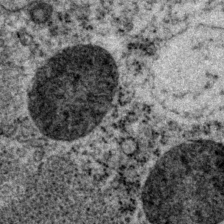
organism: P. pacificus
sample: Pharynx